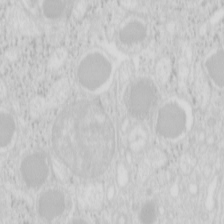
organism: Mouse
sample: Pancreas